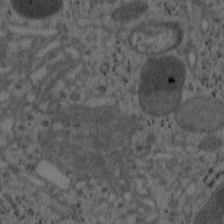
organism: Human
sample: HeLa cells